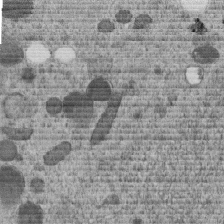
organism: C. elegans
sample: C. elegans embryo early stage